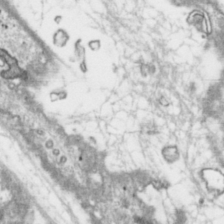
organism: Toxoplasma gondii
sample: Parasites in a vacuole inside a host cell